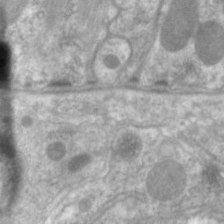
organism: C. elegans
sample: Pharynx